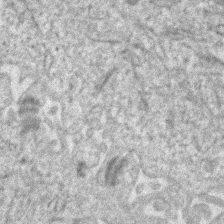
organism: Human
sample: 1205lu cells